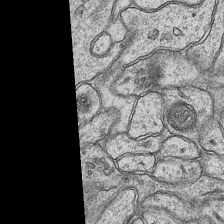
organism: Mouse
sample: CA1 Hippocampus